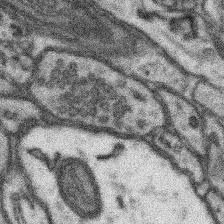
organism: Mouse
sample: Somatosensory cortex neuropil